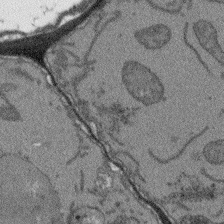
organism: Arabidopsis thaliana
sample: Root tip